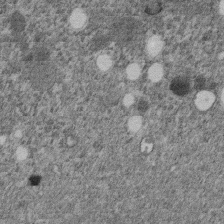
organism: C. elegans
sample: C. elegans embryo early stage